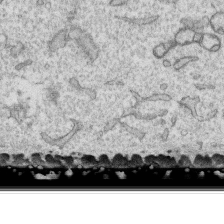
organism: Human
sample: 1205lu cells